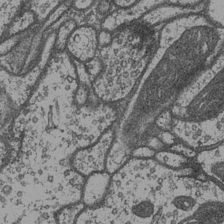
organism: Drosophila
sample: Optic medulla